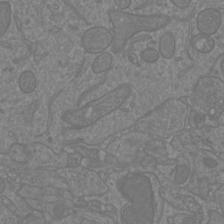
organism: Mouse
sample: Cortical neurons